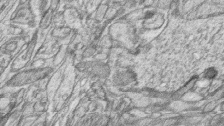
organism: Zebrafish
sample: synaptic ribbons in rod cells and cone cells